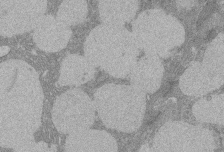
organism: Rat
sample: Salivary granule